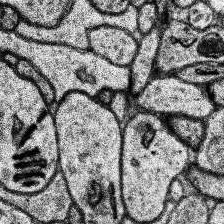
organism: Human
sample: Temporal Lobe